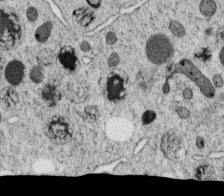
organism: C. elegans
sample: C. elegans oocyte; sperm cells